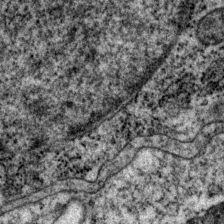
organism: P. pacificus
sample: Pharynx